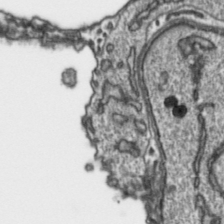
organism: Toxoplasma gondii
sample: Parasites in a vacuole inside a host cell